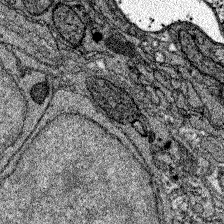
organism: Zebrafish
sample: Larval olfactory bulb